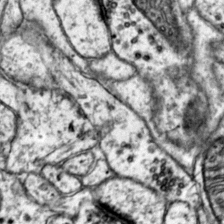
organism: Mouse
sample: Primary visual cortex